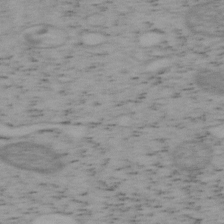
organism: Mouse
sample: OT-I killer T cells with ID8 ovarian cancer cells